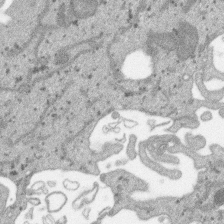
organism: Human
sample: Lung epithelial cells infected with SARS-CoV-2